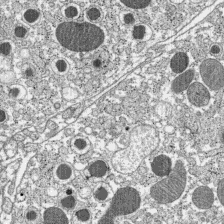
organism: C57BL Mouse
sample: Pancreatic islet